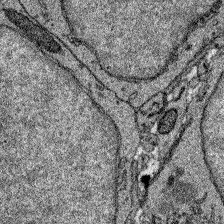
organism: Zebrafish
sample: Larval olfactory bulb